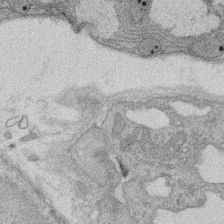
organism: Rat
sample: Salivary granule